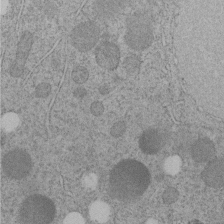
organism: C. elegans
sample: C. elegans embryo early stage